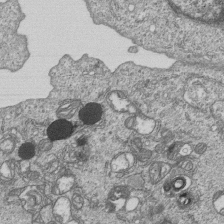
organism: Human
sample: MDA-MB-231 cells